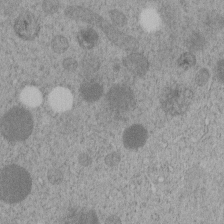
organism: C. elegans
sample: C. elegans embryo early stage